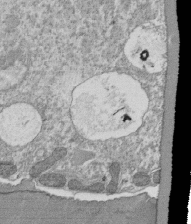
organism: Tetrahymena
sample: Cilia in tetrahymena